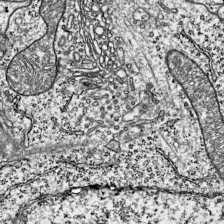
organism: Mouse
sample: Visual Cortex